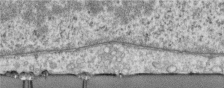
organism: Human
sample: Centriole in RPE cells